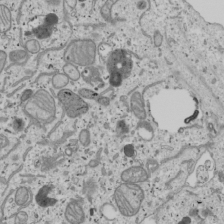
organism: Human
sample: Mitochondria in U2OS cells